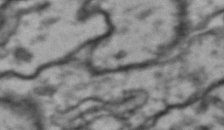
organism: Drosophila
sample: Brain